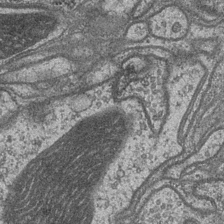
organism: Drosophila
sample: Optic medulla